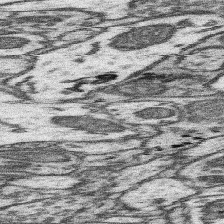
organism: Mouse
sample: Somatosensory cortex neuropil